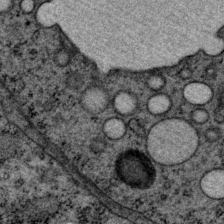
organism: P. pacificus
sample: Pharynx